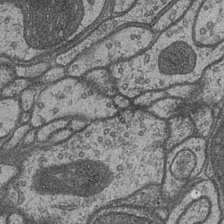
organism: Drosophila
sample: Optic medulla